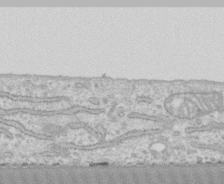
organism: Human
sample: CRL-1474